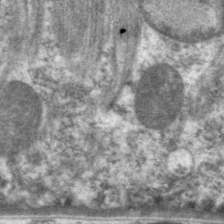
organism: C. elegans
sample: Pharynx